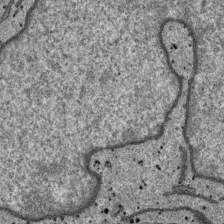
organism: Human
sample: Lung epithelial cells, uninfected (mock) control